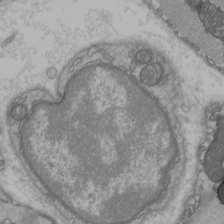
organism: C57BL Mouse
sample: Heart